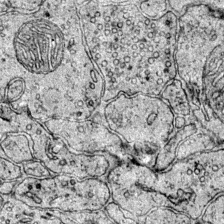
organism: Mouse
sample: Primary visual cortex